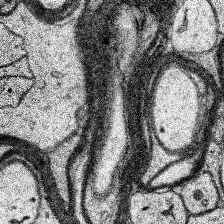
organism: Human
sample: Temporal Lobe